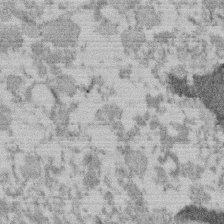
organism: Mouse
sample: Dividing mouse embryo 1 cell stage